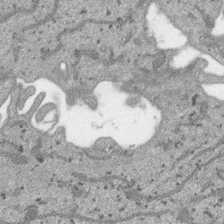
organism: Human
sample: Lung epithelial cells infected with SARS-CoV-2